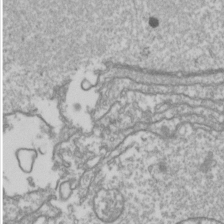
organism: Drosophila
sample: Cell division; meiosis; drosophila spermatocytes